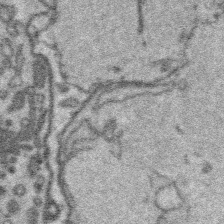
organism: Platynereis dumerilii